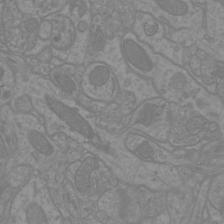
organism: Mouse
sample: Cortical neurons